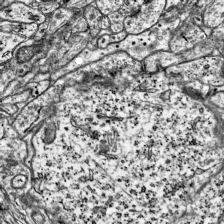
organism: Mouse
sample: Visual Cortex